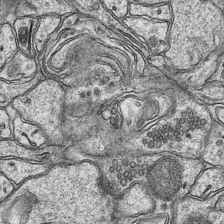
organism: Mouse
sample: CA1 Hippocampus